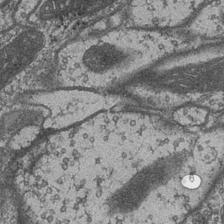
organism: Drosophila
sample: Optic medulla